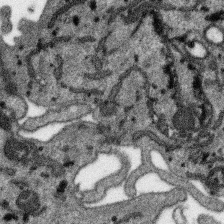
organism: Human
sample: Lung epithelial cells infected with SARS-CoV-2